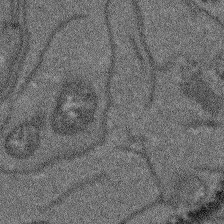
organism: Arabidopsis thaliana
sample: Root tip